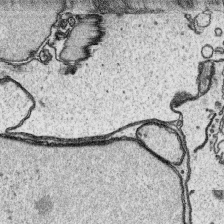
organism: Platynereis dumerilii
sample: Parapodia